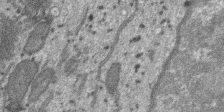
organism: Human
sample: Lung epithelial cells infected with SARS-CoV-2